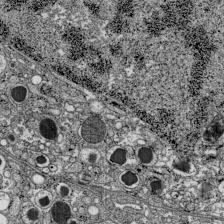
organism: C57BL Mouse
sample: Pancreatic islet